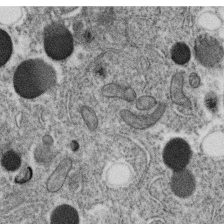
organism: C. elegans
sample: C. elegans oocyte; sperm cells